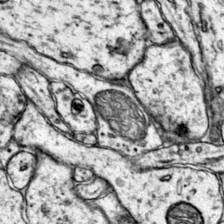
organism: Mouse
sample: Primary visual cortex